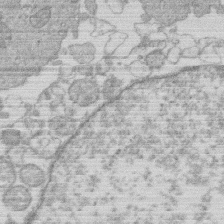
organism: Human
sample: Macrophage cells